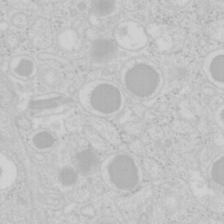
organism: Mouse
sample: Pancreas